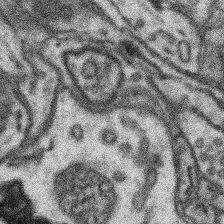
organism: Mouse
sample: Somatosensory cortex neuropil